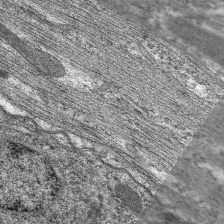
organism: C. elegans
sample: Pharynx